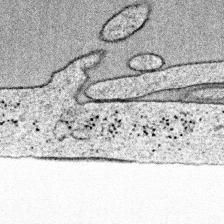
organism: Human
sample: HeLa cells